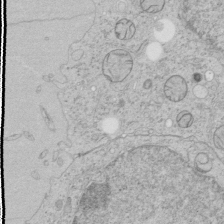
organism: Human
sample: Mitochondria in HCT116 cells